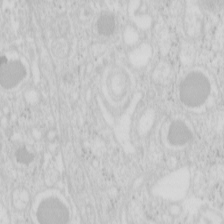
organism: Mouse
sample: Pancreas